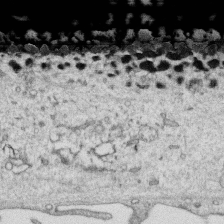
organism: Human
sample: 1205lu cells